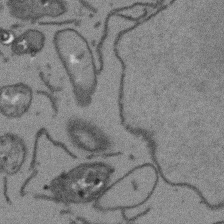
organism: Arabidopsis thaliana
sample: Root tip